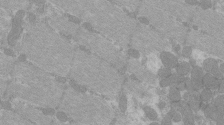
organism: C57BL Mouse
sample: Tibialis anterior muscle cell